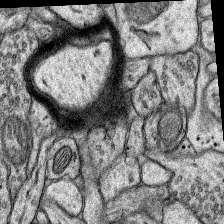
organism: Rat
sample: Hippocampus